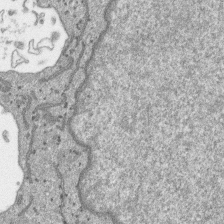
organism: Human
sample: Lung epithelial cells infected with SARS-CoV-2